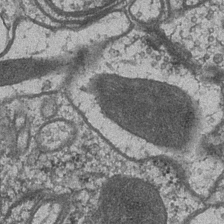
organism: Drosophila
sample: Optic medulla